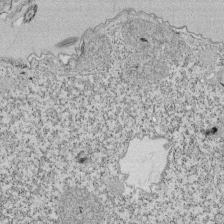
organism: Tetrahymena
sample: Cilia in tetrahymena